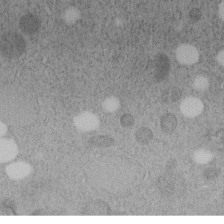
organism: C. elegans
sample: C. elegans embryo early stage